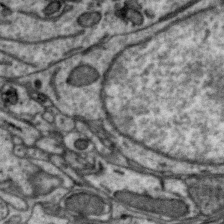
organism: Zebra finch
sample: Brain